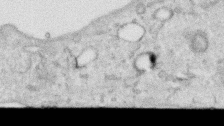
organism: Human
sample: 1205lu cells